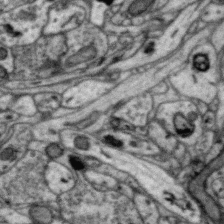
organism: Zebra finch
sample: Brain